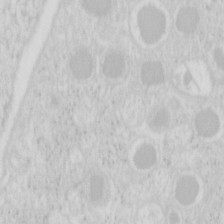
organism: Mouse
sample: Pancreas